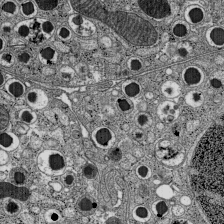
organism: C57BL Mouse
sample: Pancreatic islet